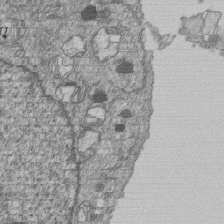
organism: Human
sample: MDA-MB-231 cells